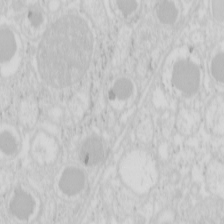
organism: Mouse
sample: Pancreas